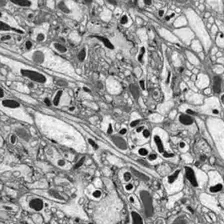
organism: Drosophila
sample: Optic lobe